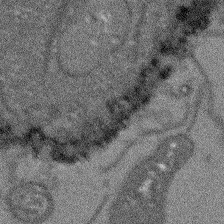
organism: Arabidopsis thaliana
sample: Root tip